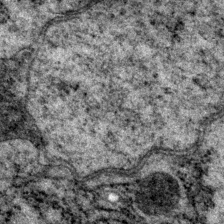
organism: P. pacificus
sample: Pharynx